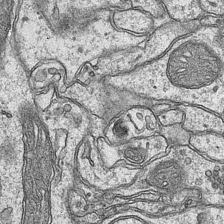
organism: Mouse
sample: CA1 Hippocampus